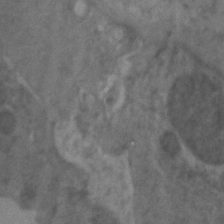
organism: Zebrafish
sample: Zebrafish embryo